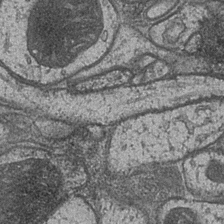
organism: Drosophila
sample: Optic medulla